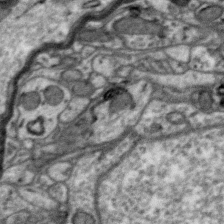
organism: Zebra finch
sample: Brain